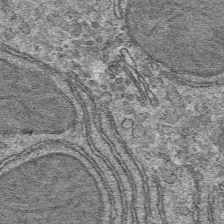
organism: Mouse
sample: Mouse hepatocytes